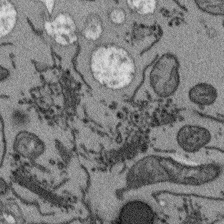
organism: Arabidopsis thaliana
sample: Root tip